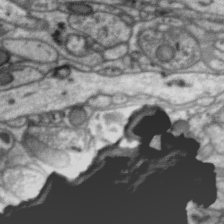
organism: Zebra finch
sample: Brain